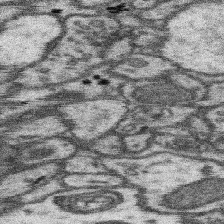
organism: Mouse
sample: Somatosensory cortex neuropil